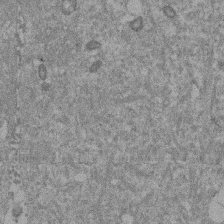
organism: Mouse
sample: Dividing mouse embryo 1 cell stage